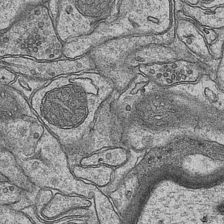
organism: Mouse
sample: CA1 Hippocampus